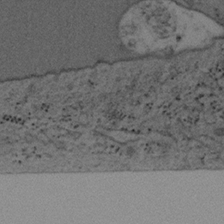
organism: Human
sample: HeLa cells